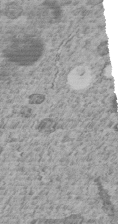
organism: C. elegans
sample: C. elegans embryo early stage